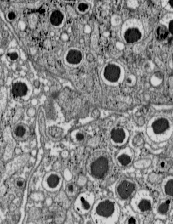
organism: C57BL Mouse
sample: Pancreatic islet